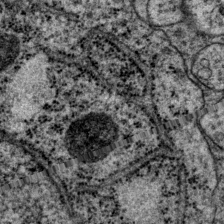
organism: P. pacificus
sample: Pharynx